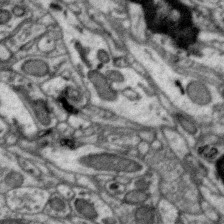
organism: Zebra finch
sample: Brain